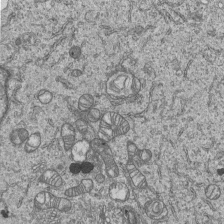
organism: Human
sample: MDA-MB-231 cells